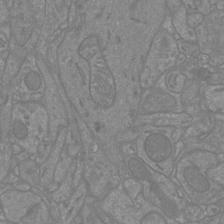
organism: Mouse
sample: Cortical neurons